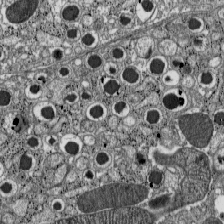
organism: C57BL Mouse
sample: Pancreatic islet